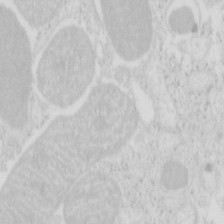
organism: Mouse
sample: Pancreas